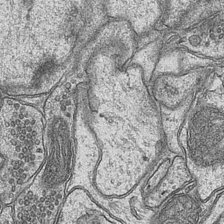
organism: Mouse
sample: CA1 Hippocampus